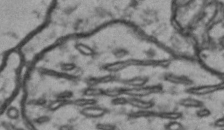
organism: Drosophila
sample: Brain